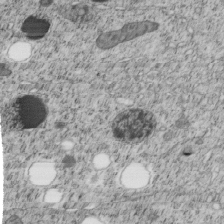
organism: C. elegans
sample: C. elegans embryo early stage